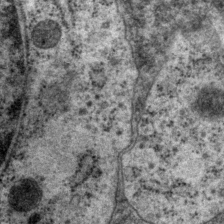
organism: P. pacificus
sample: Pharynx